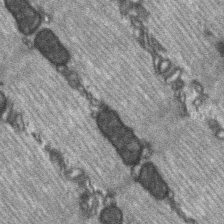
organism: C57BL Mouse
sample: Soleus